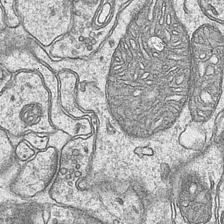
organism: Mouse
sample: CA1 Hippocampus